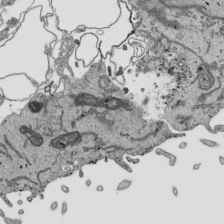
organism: Human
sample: Mitochondria in HCT116 cells